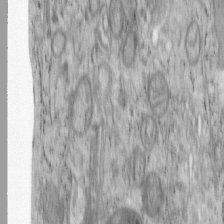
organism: Human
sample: HeLa cells